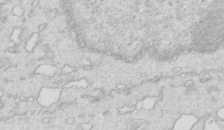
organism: Mouse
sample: Multiciliated cells